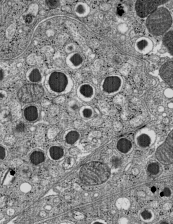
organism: C57BL Mouse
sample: Pancreatic islet